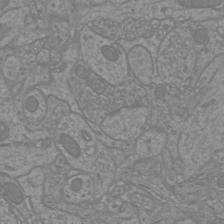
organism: Mouse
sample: Cortical neurons